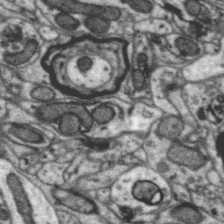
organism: Zebra finch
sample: Brain